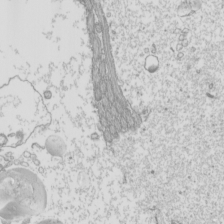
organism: Mouse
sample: Cilia; mouse epididymis